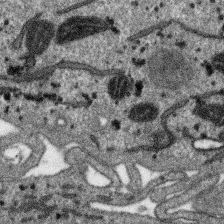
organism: Human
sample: Lung epithelial cells infected with SARS-CoV-2